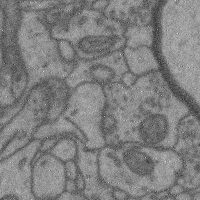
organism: Mouse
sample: Cerebral cortex